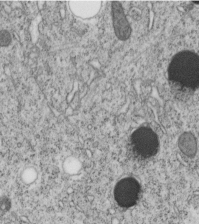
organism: C. elegans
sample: C. elegans embryo early stage